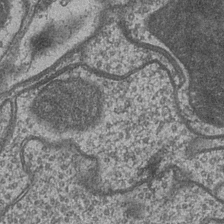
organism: Drosophila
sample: Optic medulla